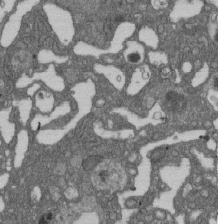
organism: Drosophila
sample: Nephrocyte